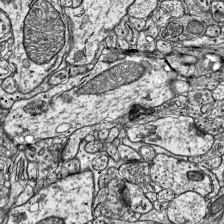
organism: Mouse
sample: Visual Cortex